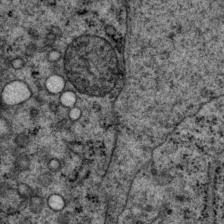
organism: P. pacificus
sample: Pharynx